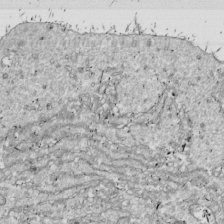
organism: Drosophila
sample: Cell division; meiosis; drosophila spermatocytes